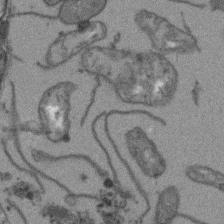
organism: Arabidopsis thaliana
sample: Root tip